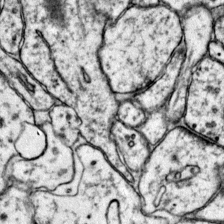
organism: Mouse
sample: Primary visual cortex